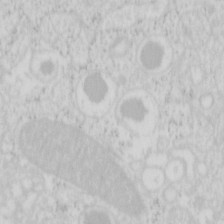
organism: Mouse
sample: Pancreas